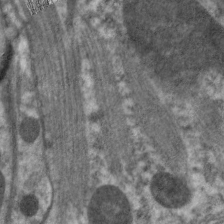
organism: C. elegans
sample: Pharynx